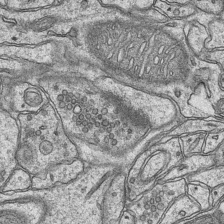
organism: Mouse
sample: CA1 Hippocampus